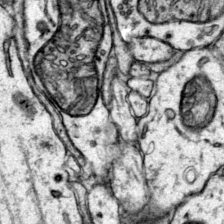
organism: Mouse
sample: Primary visual cortex